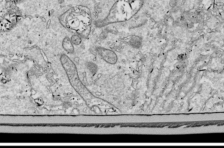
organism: Drosophila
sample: Cell division; meiosis; drosophila spermatocytes